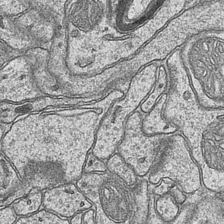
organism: Mouse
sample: CA1 Hippocampus